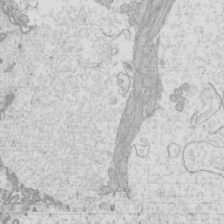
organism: Mouse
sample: Cilia; mouse epididymis